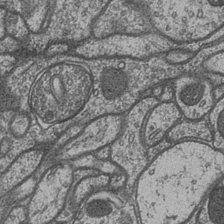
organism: Drosophila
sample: Optic medulla